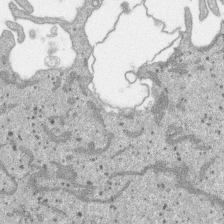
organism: Human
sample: Lung epithelial cells infected with SARS-CoV-2